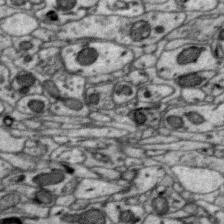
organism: Zebra finch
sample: Brain